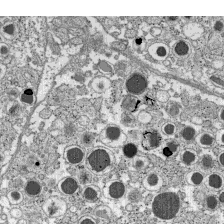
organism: C57BL Mouse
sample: Pancreatic islet